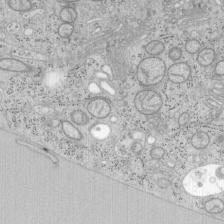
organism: Mouse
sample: OT-I killer T cells with ID8 ovarian cancer cells